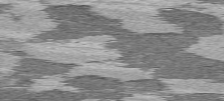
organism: C57BL Mouse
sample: Heart